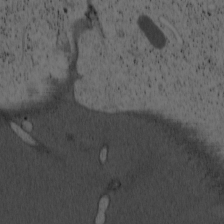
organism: African green monkey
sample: COS-7 cells